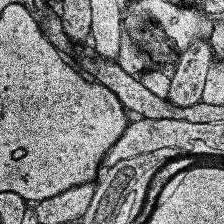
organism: Human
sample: Temporal Lobe